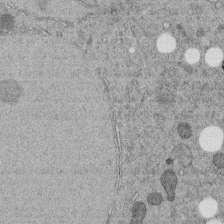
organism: C. elegans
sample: C. elegans embryo early stage